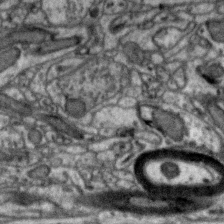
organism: Zebra finch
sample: Brain